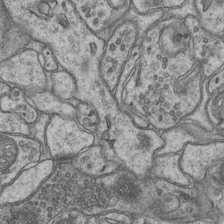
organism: Mouse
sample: CA1 Hippocampus